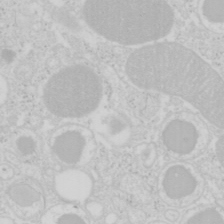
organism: Mouse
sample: Pancreas